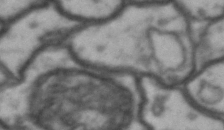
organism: Drosophila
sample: Brain